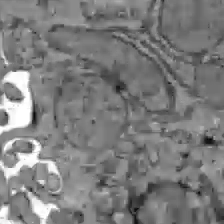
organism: C57BL Mouse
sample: Liver